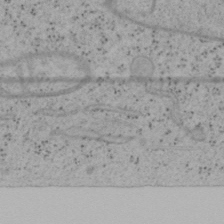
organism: Human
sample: HeLa cells